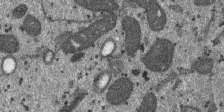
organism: Human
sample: Lung epithelial cells infected with SARS-CoV-2